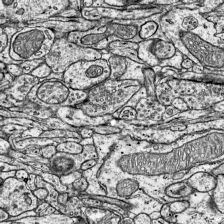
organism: Mouse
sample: Visual Cortex